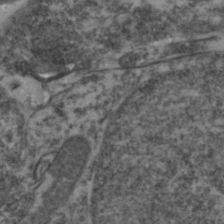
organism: Zebrafish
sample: Zebrafish embryo